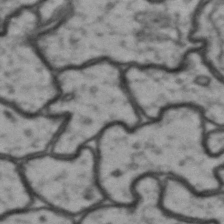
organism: Drosophila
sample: Brain